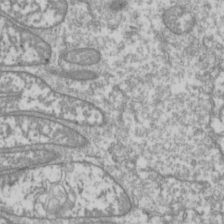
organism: Drosophila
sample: Cell division; meiosis; drosophila spermatocytes